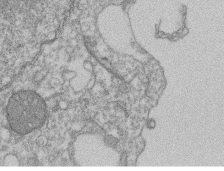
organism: Mouse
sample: T cell stromal cell synapse